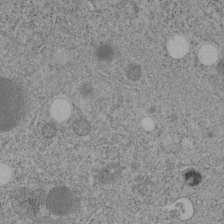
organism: C. elegans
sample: C. elegans embryo early stage